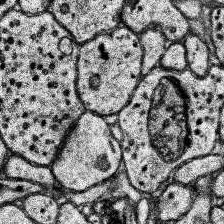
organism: Human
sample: Temporal Lobe